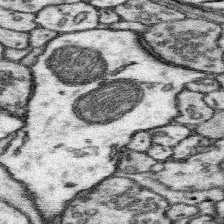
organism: Mouse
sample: Somatosensory cortex neuropil